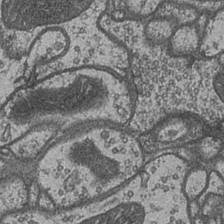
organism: Drosophila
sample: Optic medulla